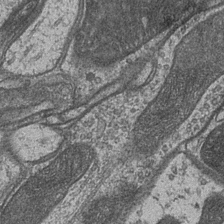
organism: Drosophila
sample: Optic medulla